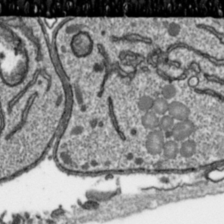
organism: Toxoplasma gondii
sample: Parasites in a vacuole inside a host cell